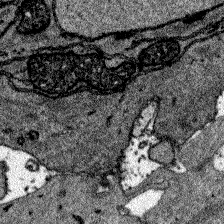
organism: Zebrafish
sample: Larval olfactory bulb